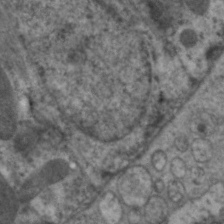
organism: C. elegans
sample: Pharynx